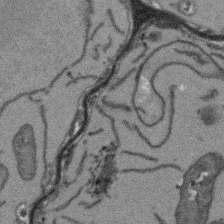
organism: Arabidopsis thaliana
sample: Root tip